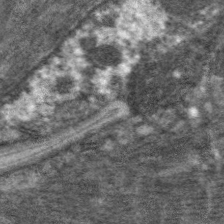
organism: C. elegans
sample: Pharynx